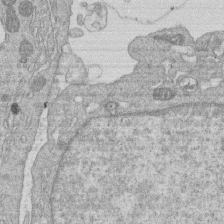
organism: Human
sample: Macrophage cells